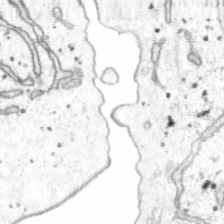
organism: Human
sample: HeLa cells